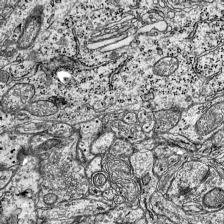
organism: Mouse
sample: Visual Cortex